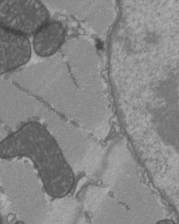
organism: C57BL Mouse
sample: Heart